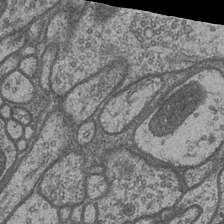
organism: Drosophila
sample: Optic medulla